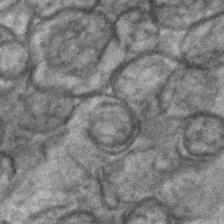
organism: C. elegans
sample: C. elegans embryo